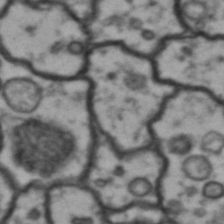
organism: Drosophila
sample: Brain